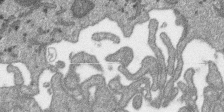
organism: Human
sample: Lung epithelial cells infected with SARS-CoV-2